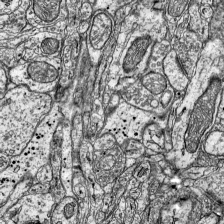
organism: Mouse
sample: Visual Cortex